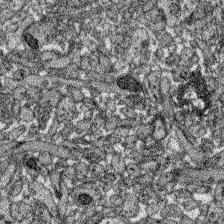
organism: Zebrafish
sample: Larval olfactory bulb